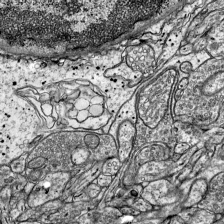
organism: Mouse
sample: Visual Cortex